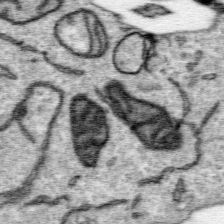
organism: Human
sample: HeLa cells